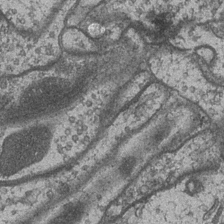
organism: Drosophila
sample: Optic medulla